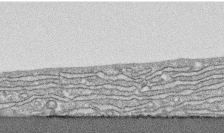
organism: Human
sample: CRL-1474